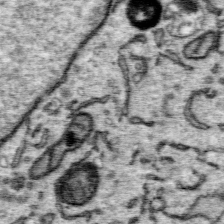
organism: Human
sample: HeLa cells